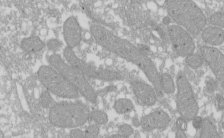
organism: Xenopus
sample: Cilia; centrioles in frog embryo cells